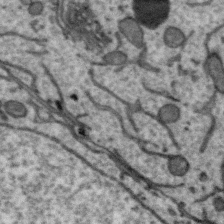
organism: Zebra finch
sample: Brain